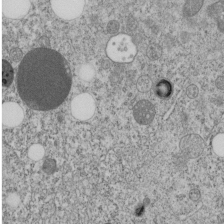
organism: C. elegans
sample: C. elegans embryo early stage